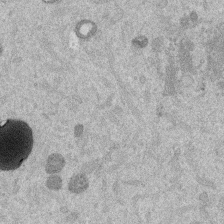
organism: Mouse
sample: Dividing mouse embryo 1 cell stage